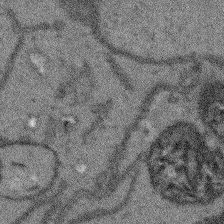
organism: Arabidopsis thaliana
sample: Root tip